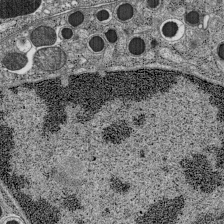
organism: C57BL Mouse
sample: Pancreatic islet